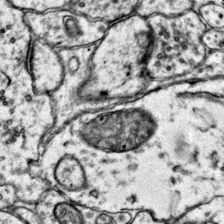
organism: Mouse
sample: Primary visual cortex